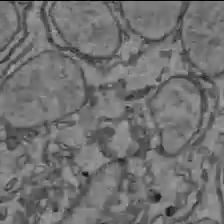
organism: C57BL Mouse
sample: Liver